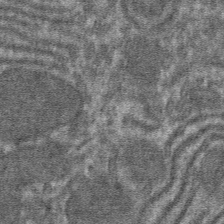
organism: Mouse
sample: Mouse hepatocytes